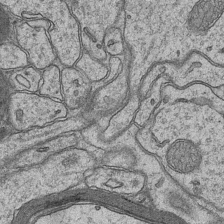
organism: Mouse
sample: CA1 Hippocampus